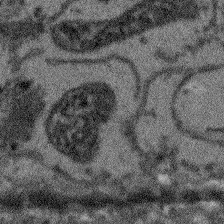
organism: Arabidopsis thaliana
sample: Root tip